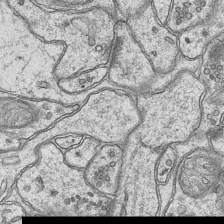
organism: Mouse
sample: CA1 Hippocampus